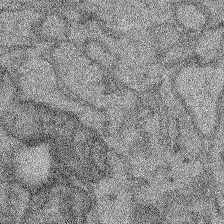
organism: Human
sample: HeLa cells